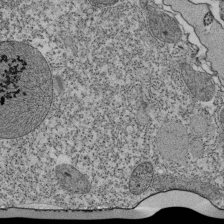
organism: Tetrahymena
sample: Cilia in tetrahymena